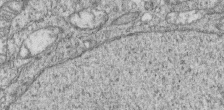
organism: Human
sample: HeLa cell HIV synapse